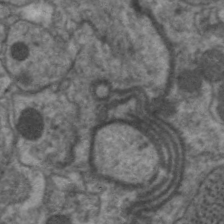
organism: C. elegans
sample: Pharynx